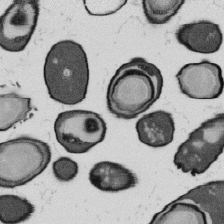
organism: B. subtilis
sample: Bacterial spore